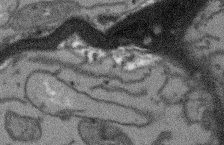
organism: Arabidopsis thaliana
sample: Root tip